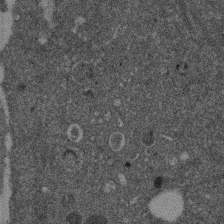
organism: Mouse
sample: Dividing mouse embryo 1 cell stage